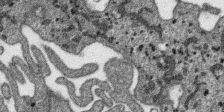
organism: Human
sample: Lung epithelial cells infected with SARS-CoV-2